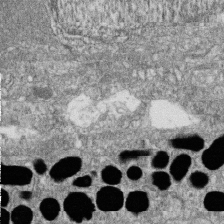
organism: Zebrafish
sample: Cilia; retinal pigment epithelium